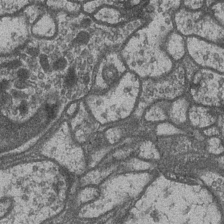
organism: Drosophila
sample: Optic medulla